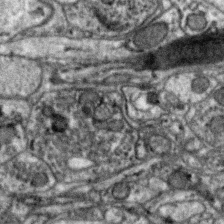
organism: Zebra finch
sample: Brain